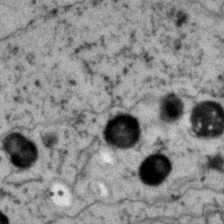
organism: Zebrafish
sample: Zebrafish embryo